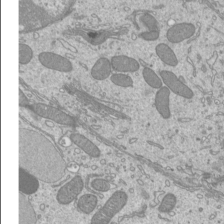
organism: Mouse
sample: Cilia; mouse epididymis